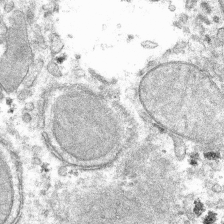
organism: Mouse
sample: Mouse hepatocytes